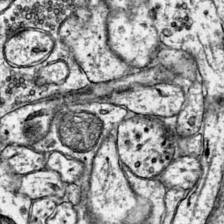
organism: Mouse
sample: Primary visual cortex